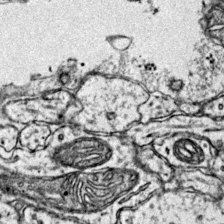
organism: Mouse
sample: Primary visual cortex